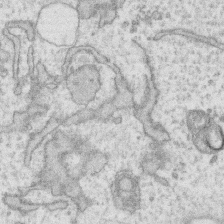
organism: Human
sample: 1205lu cells